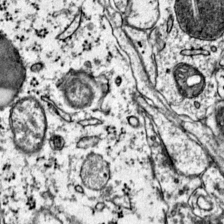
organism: Mouse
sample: Primary visual cortex